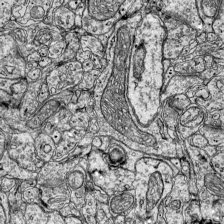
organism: Mouse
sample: Visual Cortex